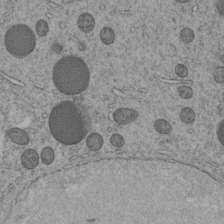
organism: C. elegans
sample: C. elegans embryo early stage